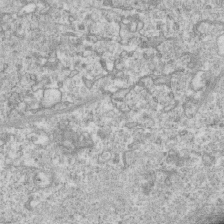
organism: Mouse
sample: Activated OT-1 CD8+ T cells